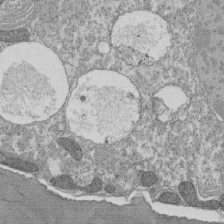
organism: Tetrahymena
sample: Cilia in tetrahymena